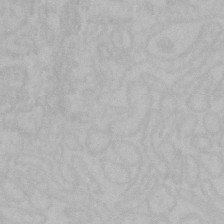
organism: Mouse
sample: Choroid plexus